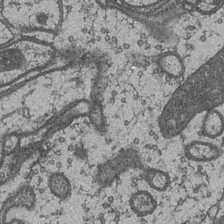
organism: Drosophila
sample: Optic medulla